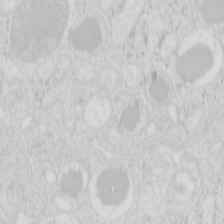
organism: Mouse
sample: Pancreas